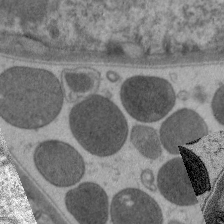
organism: C. elegans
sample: Pharynx